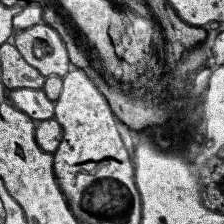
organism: Human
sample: Temporal Lobe